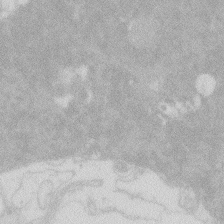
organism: Zebrafish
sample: Macrophage